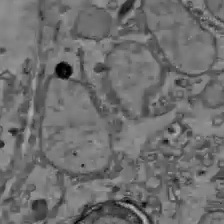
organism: C57BL Mouse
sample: Liver